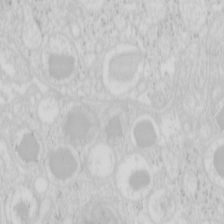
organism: Mouse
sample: Pancreas